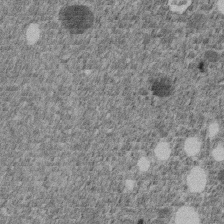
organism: C. elegans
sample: C. elegans embryo early stage